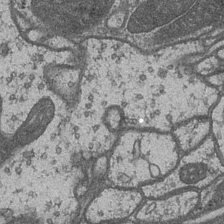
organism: Drosophila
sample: Optic medulla